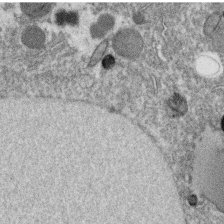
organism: C. elegans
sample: C. elegans oocyte; sperm cells